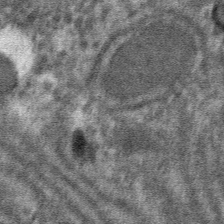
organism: Mouse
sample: Mouse hepatocytes